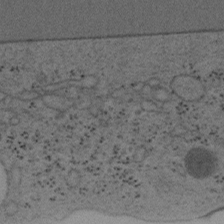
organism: Human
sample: HeLa cells